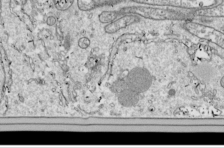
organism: Drosophila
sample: Cell division; meiosis; drosophila spermatocytes